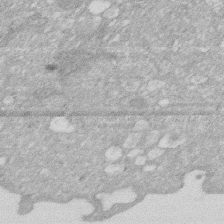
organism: Human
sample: HIV infected U937 cells